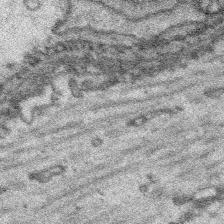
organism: Platynereis dumerilii